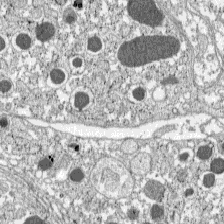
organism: C57BL Mouse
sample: Pancreatic islet